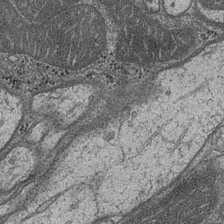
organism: Drosophila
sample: Optic medulla